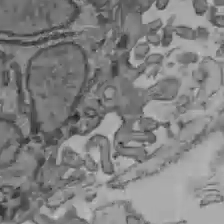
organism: C57BL Mouse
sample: Liver